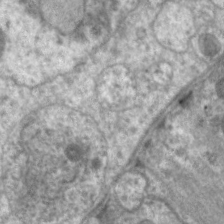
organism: C. elegans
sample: Pharynx